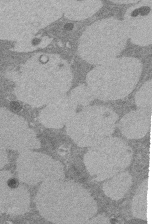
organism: Rat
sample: Salivary granule